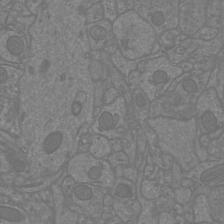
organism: Mouse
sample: Cortical neurons